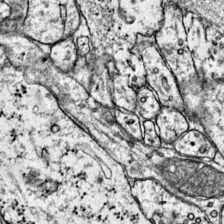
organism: Mouse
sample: Primary visual cortex